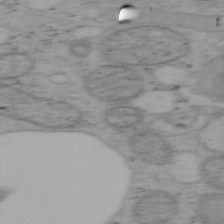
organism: Mouse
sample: OT-I killer T cells with ID8 ovarian cancer cells